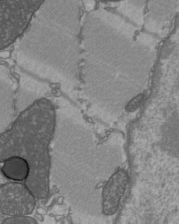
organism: C57BL Mouse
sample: Heart